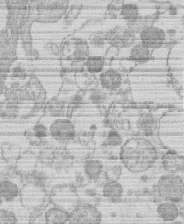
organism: Human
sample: Macrophage cells